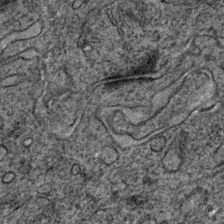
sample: Trachea